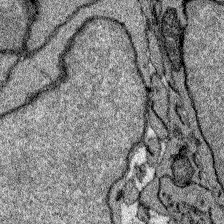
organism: Zebrafish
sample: Larval olfactory bulb